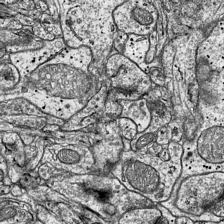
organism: Mouse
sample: Visual Cortex